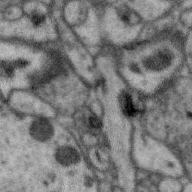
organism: Zebra finch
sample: Brain